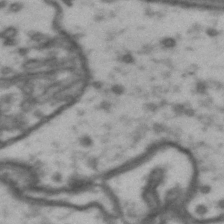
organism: Drosophila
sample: Brain